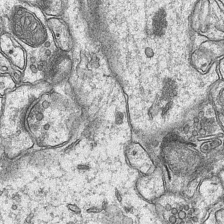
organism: Mouse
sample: CA1 Hippocampus